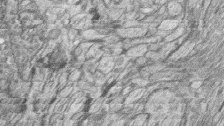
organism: Zebrafish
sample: synaptic ribbons in rod cells and cone cells